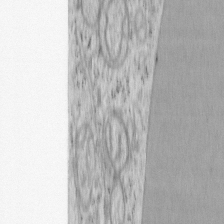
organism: Human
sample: HeLa cells